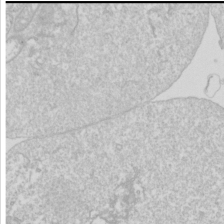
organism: Drosophila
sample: Cell division; meiosis; drosophila spermatocytes